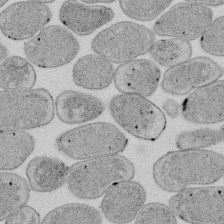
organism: E. coli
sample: Bacterial nucleoid